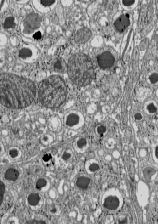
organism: C57BL Mouse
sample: Pancreatic islet